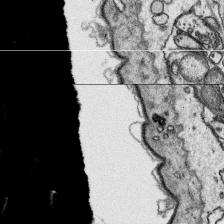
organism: Platynereis dumerilii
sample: Parapodia